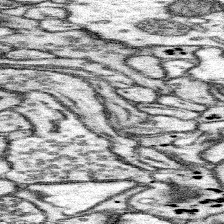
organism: Mouse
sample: Somatosensory cortex neuropil